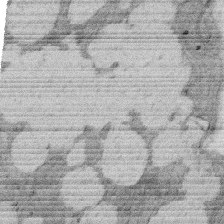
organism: Rat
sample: Salivary granule